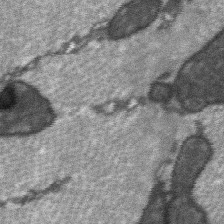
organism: C57BL Mouse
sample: Soleus